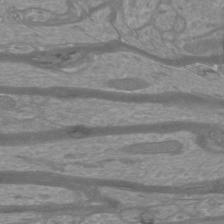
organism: Mouse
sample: Cortical neurons